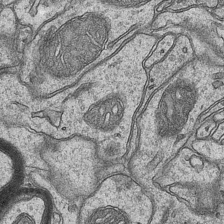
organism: Mouse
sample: CA1 Hippocampus